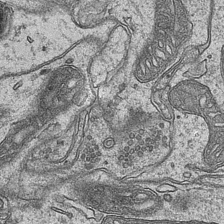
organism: Mouse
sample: CA1 Hippocampus